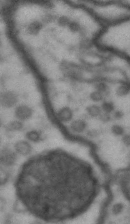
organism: Drosophila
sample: Brain